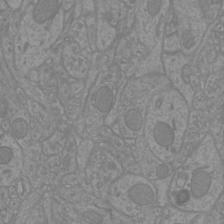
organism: Mouse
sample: Cortical neurons